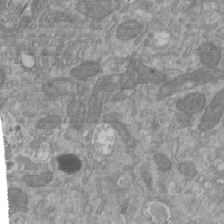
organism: Mouse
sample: ED-1 cell nuclei; centrioles